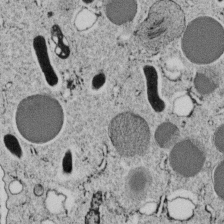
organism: C. elegans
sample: C. elegans embryo early stage